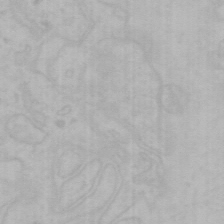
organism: Mouse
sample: Choroid plexus